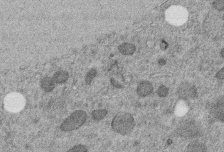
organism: C. elegans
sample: C. elegans embryo early stage